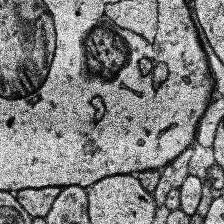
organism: Human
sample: Temporal Lobe